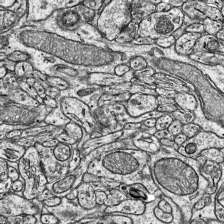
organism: Mouse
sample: Visual Cortex